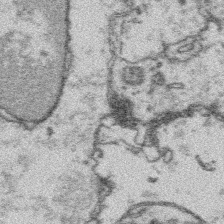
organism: Platynereis dumerilii